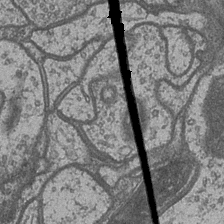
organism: Drosophila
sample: Optic medulla